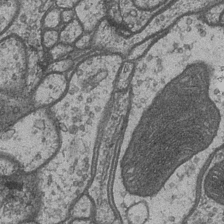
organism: Drosophila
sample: Optic medulla